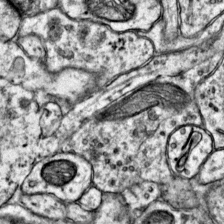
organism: Mouse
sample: Primary visual cortex